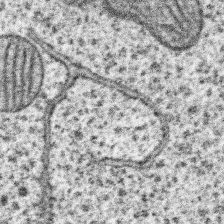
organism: Human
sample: HeLa cells